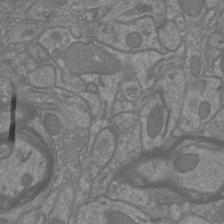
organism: Mouse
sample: Cortical neurons